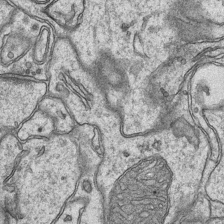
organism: Mouse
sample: CA1 Hippocampus